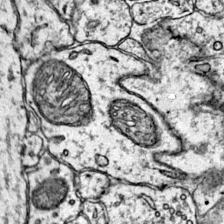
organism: Mouse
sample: Primary visual cortex